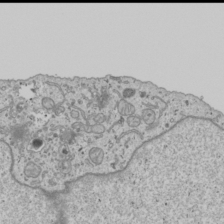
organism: Human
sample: Mitochondria in U2OS cells